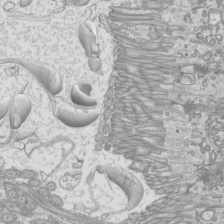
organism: Mouse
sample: Cilia; mouse epididymis